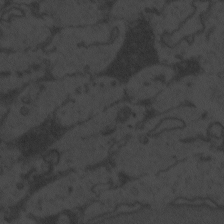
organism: Zebrafish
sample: Macrophage infected with Toxoplasma gondii